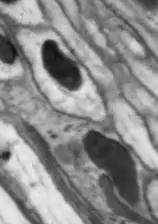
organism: Drosophila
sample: Optic lobe